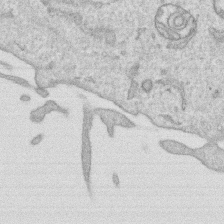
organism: Human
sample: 1205lu cells